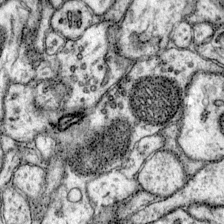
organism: Mouse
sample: Primary visual cortex